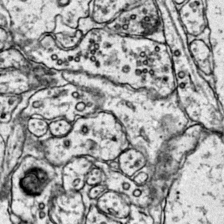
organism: Mouse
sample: Primary visual cortex